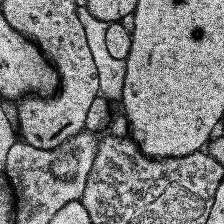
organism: Human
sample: Temporal Lobe